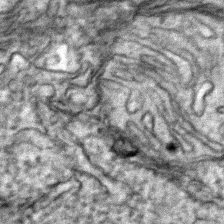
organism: Zebrafish